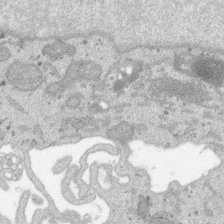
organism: Human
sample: Lung epithelial cells infected with SARS-CoV-2